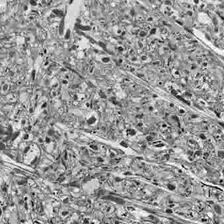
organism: Drosophila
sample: Optic lobe